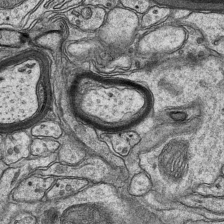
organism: Mouse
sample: CA1 Hippocampus